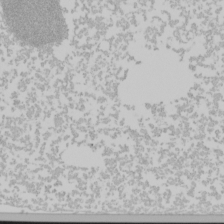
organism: Mouse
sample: Cancer cell death in ED-1 cells